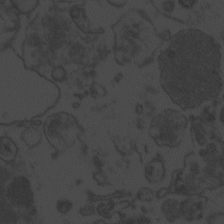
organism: Zebrafish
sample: Macrophage infected with Toxoplasma gondii